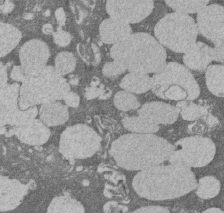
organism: Rat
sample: Salivary granule